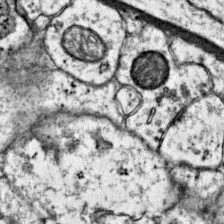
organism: Mouse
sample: Primary visual cortex